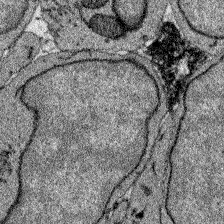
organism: Zebrafish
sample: Larval olfactory bulb